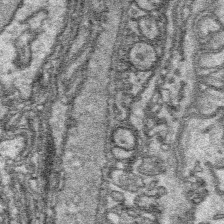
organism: Platynereis dumerilii